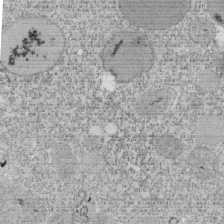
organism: Tetrahymena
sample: Cilia in tetrahymena